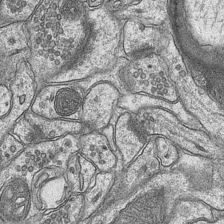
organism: Mouse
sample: CA1 Hippocampus